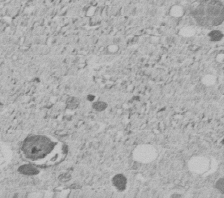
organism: C. elegans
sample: C. elegans embryo early stage